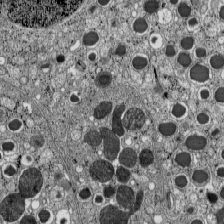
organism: C57BL Mouse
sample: Pancreatic islet